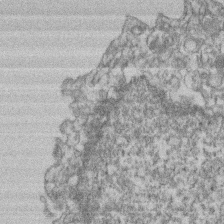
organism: Mouse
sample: T cell stromal cell synapse